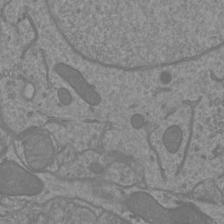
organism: Mouse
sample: Cortical neurons